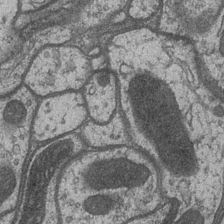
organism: Drosophila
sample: Optic medulla